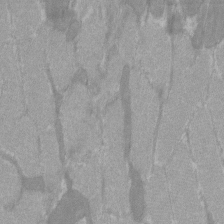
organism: C57BL Mouse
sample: Tibialis anterior muscle cell